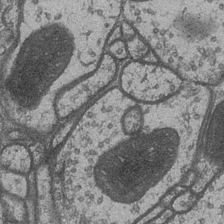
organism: Drosophila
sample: Optic medulla